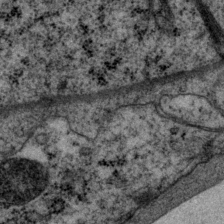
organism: P. pacificus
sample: Pharynx